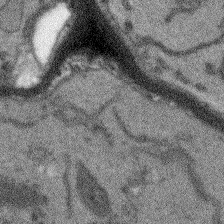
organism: Arabidopsis thaliana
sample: Root tip